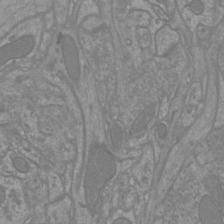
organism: Mouse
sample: Cortical neurons